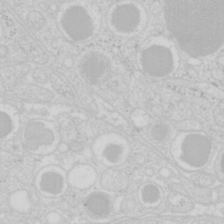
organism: Mouse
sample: Pancreas